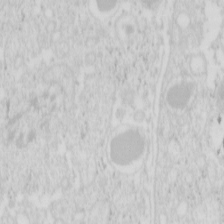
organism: Mouse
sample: Pancreas